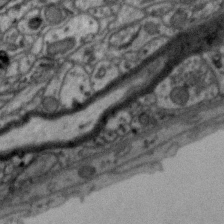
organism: Zebra finch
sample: Brain